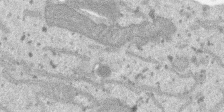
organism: Human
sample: Lung epithelial cells infected with SARS-CoV-2